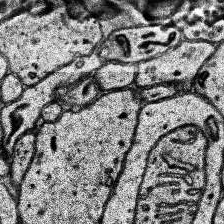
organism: Human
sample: Temporal Lobe